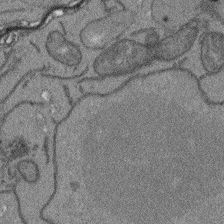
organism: Arabidopsis thaliana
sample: Root tip